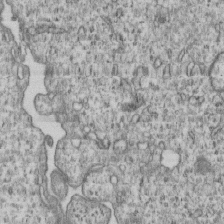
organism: Human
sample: MDA-MB-231 cells